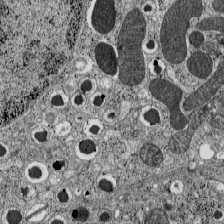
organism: C57BL Mouse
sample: Pancreatic islet